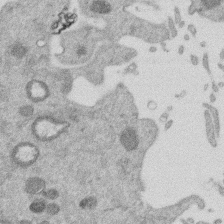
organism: Mouse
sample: Dividing mouse embryo 1 cell stage